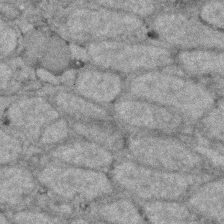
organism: Zebrafish